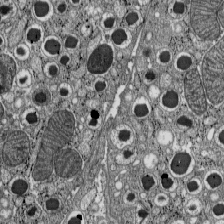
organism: C57BL Mouse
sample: Pancreatic islet